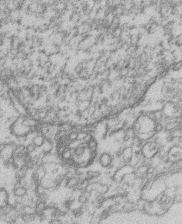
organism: Mouse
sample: T cell stromal cell synapse